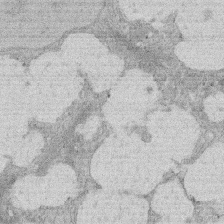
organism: Rat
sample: Salivary granule